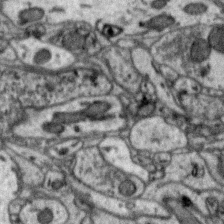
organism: Zebra finch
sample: Brain